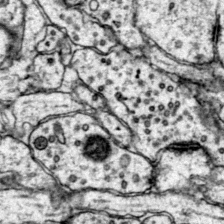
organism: Mouse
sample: Primary visual cortex